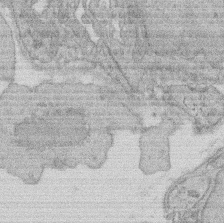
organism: Rat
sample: Salivary granule